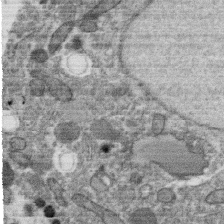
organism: C. elegans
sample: C. elegans oocyte; sperm cells